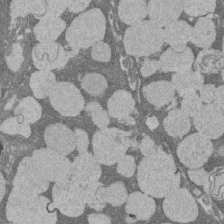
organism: Rat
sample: Salivary granule